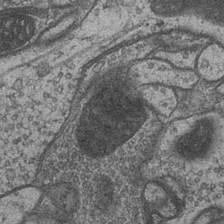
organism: Drosophila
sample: Optic medulla